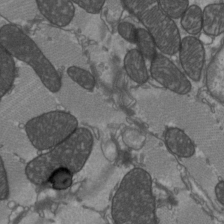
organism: C57BL Mouse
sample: Heart